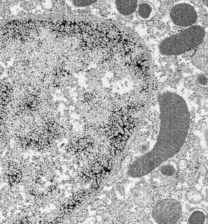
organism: C57BL Mouse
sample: Pancreatic islet